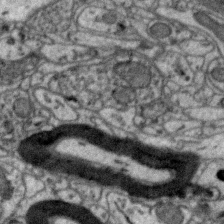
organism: Zebra finch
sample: Brain